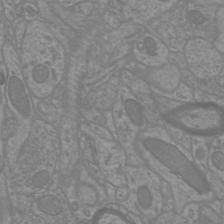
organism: Mouse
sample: Cortical neurons